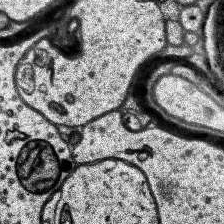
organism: Human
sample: Temporal Lobe